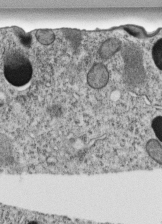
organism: C. elegans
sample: C. elegans embryo early stage